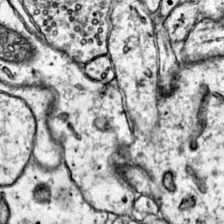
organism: Mouse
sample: Primary visual cortex